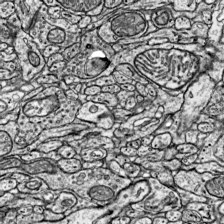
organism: Mouse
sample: Visual Cortex